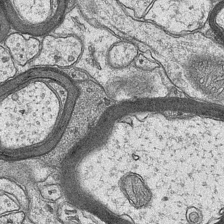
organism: Mouse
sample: CA1 Hippocampus